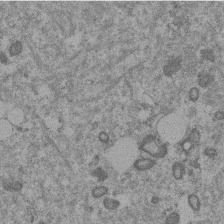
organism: Mouse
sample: Dividing mouse embryo 1 cell stage